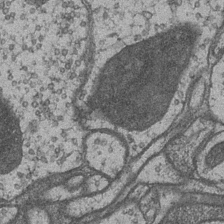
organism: Drosophila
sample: Optic medulla